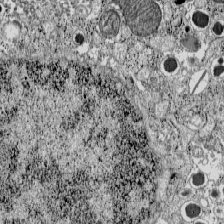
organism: C57BL Mouse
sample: Pancreatic islet